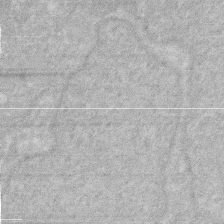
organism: Human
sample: HIV infected U937 cells